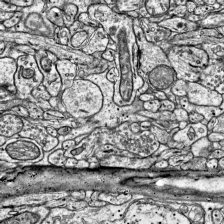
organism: Mouse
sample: Visual Cortex